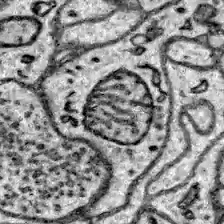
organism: Zebrafish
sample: Brain